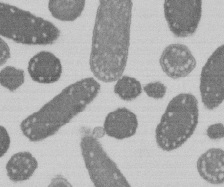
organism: E. coli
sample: Bacterial nucleoid